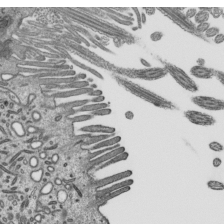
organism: Mouse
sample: Mouse epididymis efferent ductule cilia